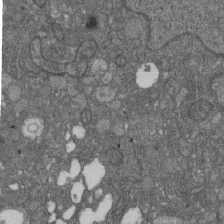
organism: Drosophila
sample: Nephrocyte